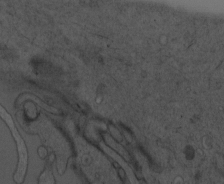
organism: Mouse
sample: OT-I killer T cells with ID8 ovarian cancer cells